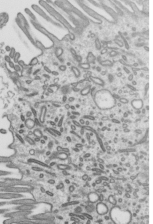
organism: Mouse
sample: Mouse epididymis efferent ductule cilia